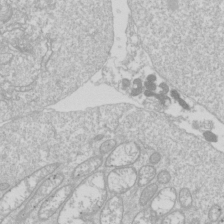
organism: Drosophila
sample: Cell division; meiosis; drosophila spermatocytes